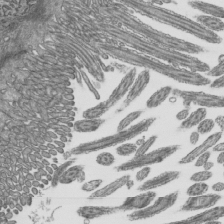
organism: Mouse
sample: Mouse epididymis efferent ductule cilia